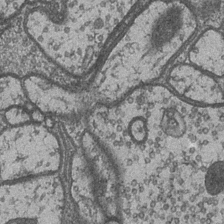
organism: Drosophila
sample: Optic medulla